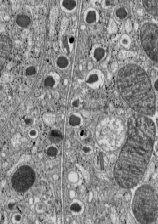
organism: C57BL Mouse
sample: Pancreatic islet